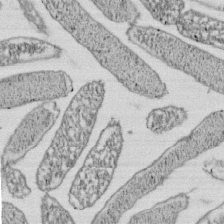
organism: E. coli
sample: Bacterial nucleoid